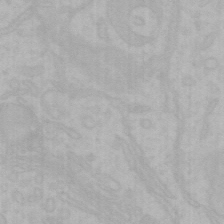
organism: Mouse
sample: Choroid plexus